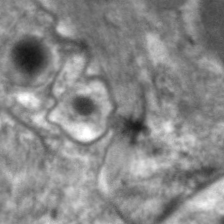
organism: C. elegans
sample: Pharynx